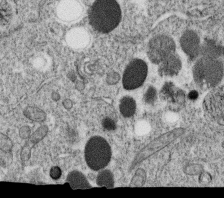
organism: C. elegans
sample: C. elegans oocyte; sperm cells